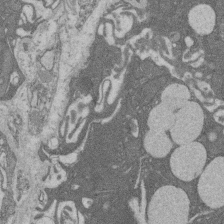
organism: Rat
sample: Salivary granule